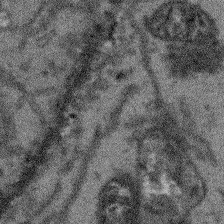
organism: Arabidopsis thaliana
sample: Root tip